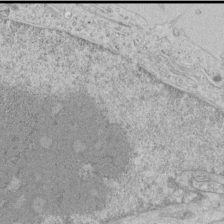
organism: Human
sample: Mitochondria in HCT116 cells